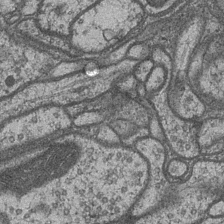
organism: Drosophila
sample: Optic medulla